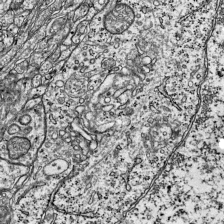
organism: Mouse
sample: Visual Cortex